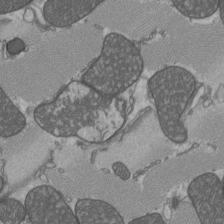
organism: C57BL Mouse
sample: Heart